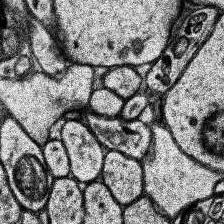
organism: Human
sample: Temporal Lobe